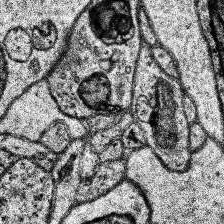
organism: Human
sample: Temporal Lobe